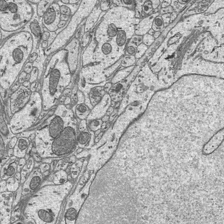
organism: Mouse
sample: Suprachiasmatic nucleus